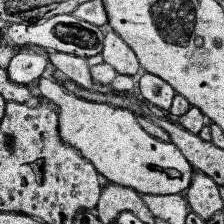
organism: Human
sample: Temporal Lobe